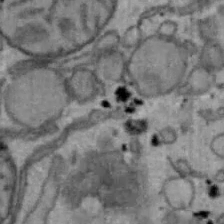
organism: Mouse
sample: Liver